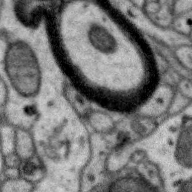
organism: Zebra finch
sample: Brain